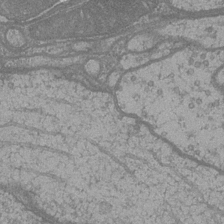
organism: Drosophila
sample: Optic medulla